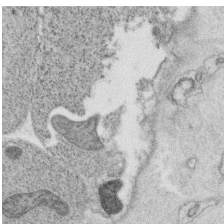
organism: C. elegans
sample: C. elegans oocyte; sperm cells